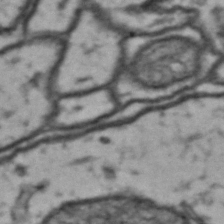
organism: Drosophila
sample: Brain